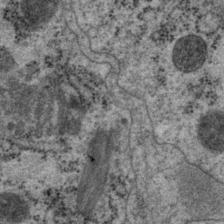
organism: P. pacificus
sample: Pharynx